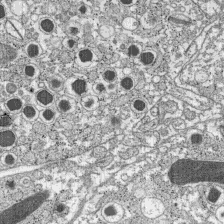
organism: C57BL Mouse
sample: Pancreatic islet